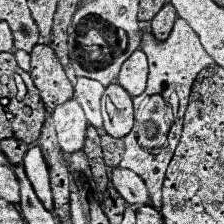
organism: Human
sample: Temporal Lobe